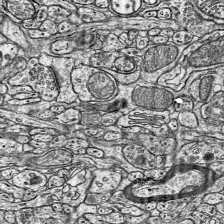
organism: Mouse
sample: Visual Cortex